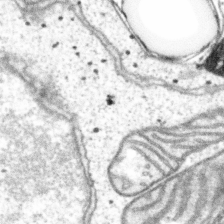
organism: Human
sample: HeLa cells